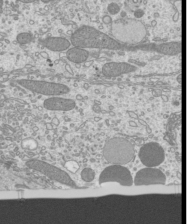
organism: Mouse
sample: Cilia; mouse epididymis